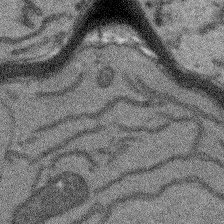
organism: Arabidopsis thaliana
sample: Root tip